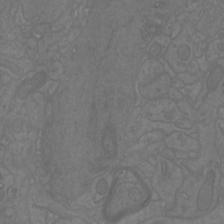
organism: Mouse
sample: Cortical neurons